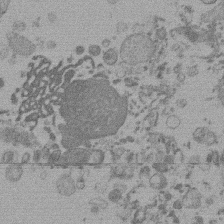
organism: Mouse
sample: Dividing mouse embryo 1 cell stage